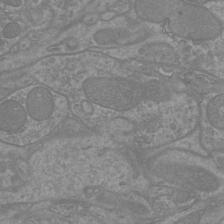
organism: Mouse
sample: Cortical neurons